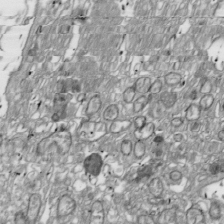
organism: Drosophila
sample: Cell division; meiosis; drosophila spermatocytes